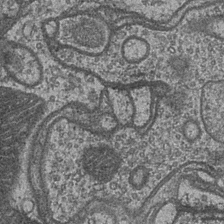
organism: Drosophila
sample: Optic medulla